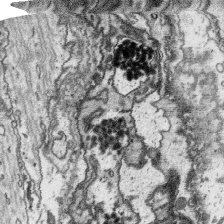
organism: Platynereis dumerilii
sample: Parapodia